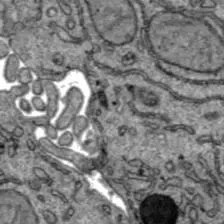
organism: C57BL Mouse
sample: Liver